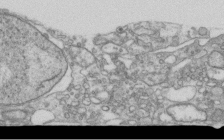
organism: Human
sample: Centriole in RPE cells